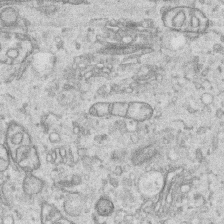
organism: Human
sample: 1205lu cells